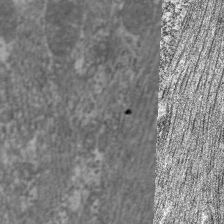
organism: C. elegans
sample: Pharynx